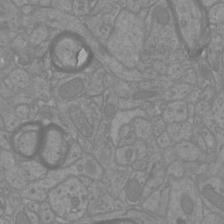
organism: Mouse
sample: Cortical neurons